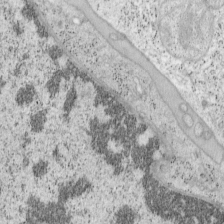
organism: Mouse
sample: OT-I killer T cells with ID8 ovarian cancer cells